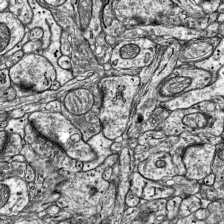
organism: Mouse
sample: Visual Cortex